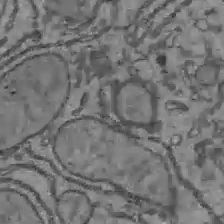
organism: C57BL Mouse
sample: Liver